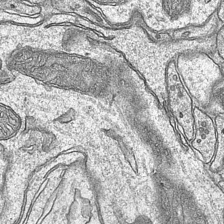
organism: Mouse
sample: CA1 Hippocampus